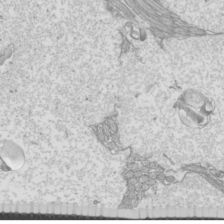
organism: Mouse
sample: Cilia; mouse epididymis